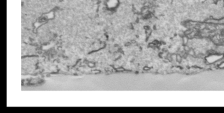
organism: Human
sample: Mitochondria in HCT116 cells